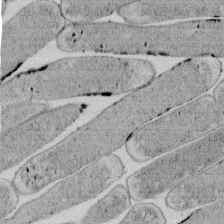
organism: E. coli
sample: Bacterial nucleoid